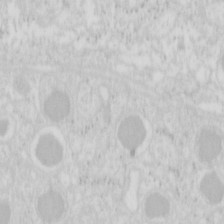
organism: Mouse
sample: Pancreas